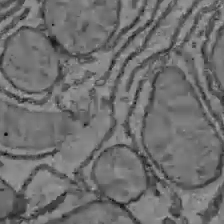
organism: C57BL Mouse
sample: Liver